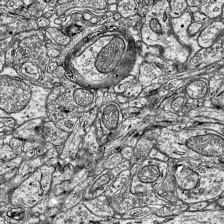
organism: Mouse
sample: Visual Cortex